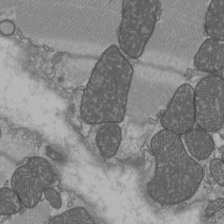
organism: C57BL Mouse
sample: Heart